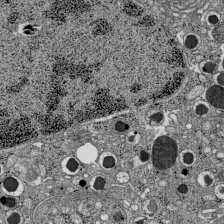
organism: C57BL Mouse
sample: Pancreatic islet